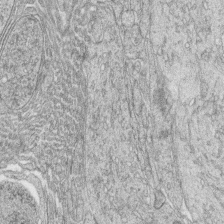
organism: Zebrafish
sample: synaptic ribbons in rod cells and cone cells